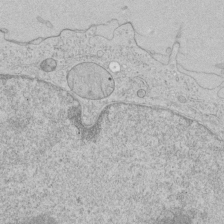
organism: Human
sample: Mitochondria in HCT116 cells